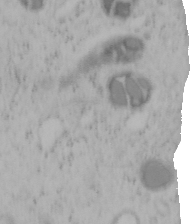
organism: Mouse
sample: OT-I killer T cells with ID8 ovarian cancer cells